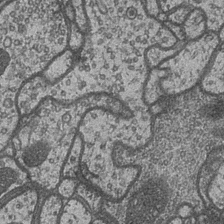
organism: Drosophila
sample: Optic medulla